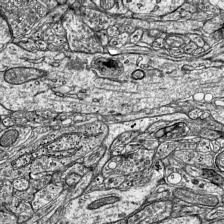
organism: Mouse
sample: Visual Cortex